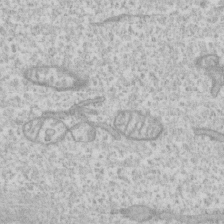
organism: Human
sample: CRL-1474